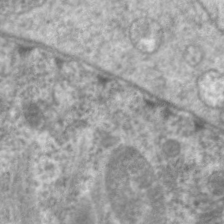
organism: C. elegans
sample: Pharynx